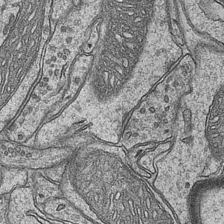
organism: Mouse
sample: CA1 Hippocampus